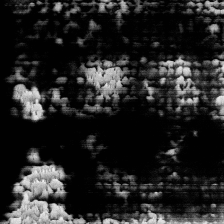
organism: Human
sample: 1205lu cells